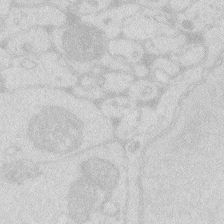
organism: Zebrafish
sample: Macrophage